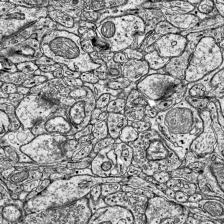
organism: Mouse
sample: Visual Cortex